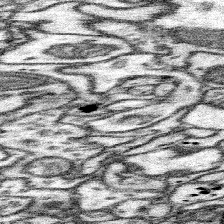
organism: Mouse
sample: Somatosensory cortex neuropil